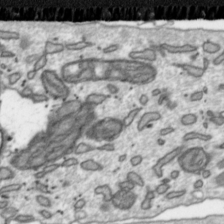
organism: Toxoplasma gondii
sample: Parasites in a vacuole inside a host cell